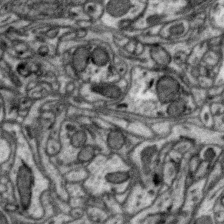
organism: Zebra finch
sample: Brain